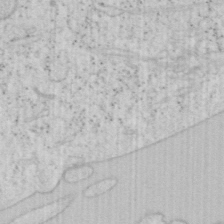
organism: Human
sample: HeLa cells